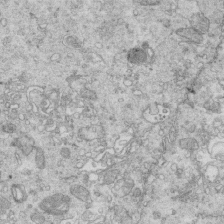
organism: Mouse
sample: Multiciliated cells